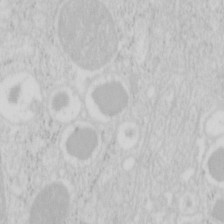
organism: Mouse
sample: Pancreas